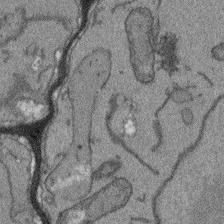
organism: Arabidopsis thaliana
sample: Root tip